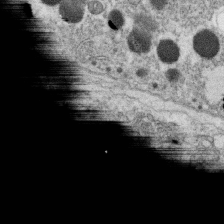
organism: C. elegans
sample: C. elegans oocyte; sperm cells